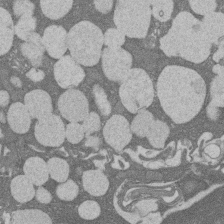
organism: Rat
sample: Salivary granule